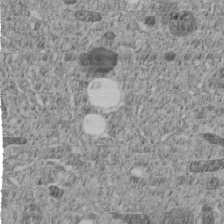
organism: C. elegans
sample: C. elegans embryo early stage